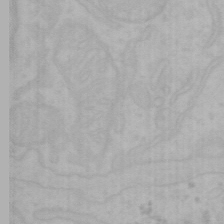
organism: Mouse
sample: Choroid plexus